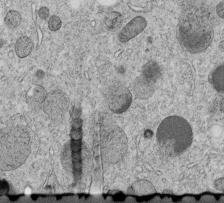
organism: C. elegans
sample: C. elegans embryo early stage